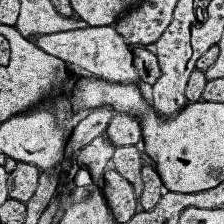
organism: Human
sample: Temporal Lobe